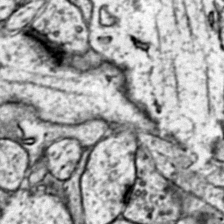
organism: Mouse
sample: Primary visual cortex